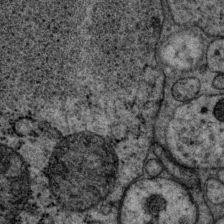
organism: P. pacificus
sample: Pharynx